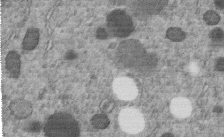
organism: C. elegans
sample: C. elegans embryo early stage